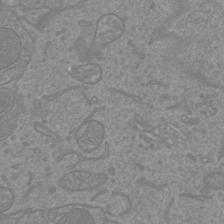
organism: Mouse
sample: Cortical neurons